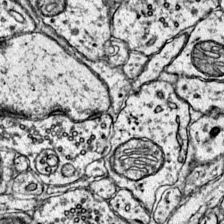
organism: Mouse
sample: Primary visual cortex